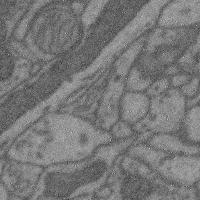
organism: Mouse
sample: Cerebral cortex